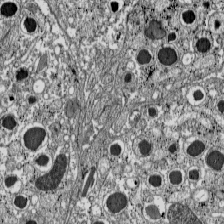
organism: C57BL Mouse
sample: Pancreatic islet